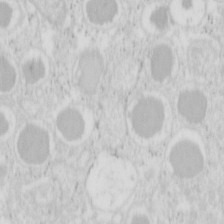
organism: Mouse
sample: Pancreas